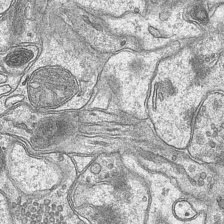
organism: Mouse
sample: CA1 Hippocampus